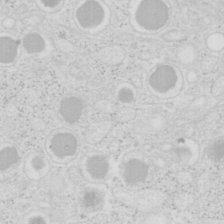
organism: Mouse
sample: Pancreas